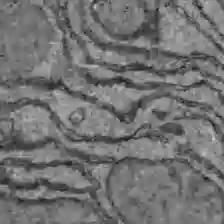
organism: C57BL Mouse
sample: Liver